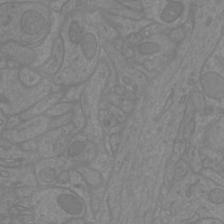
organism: Mouse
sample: Cortical neurons